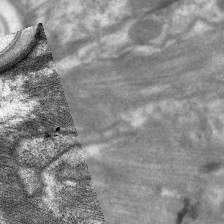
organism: C. elegans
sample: Pharynx